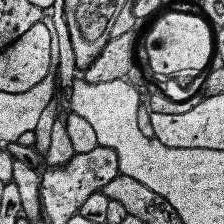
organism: Human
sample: Temporal Lobe